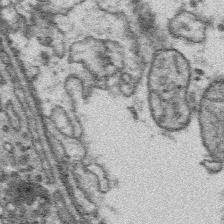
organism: Platynereis dumerilii